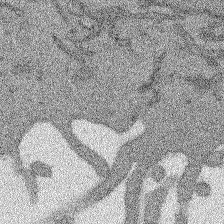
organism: Human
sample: HeLa cells